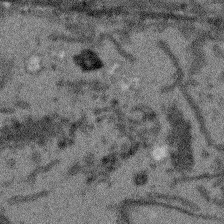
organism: Arabidopsis thaliana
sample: Root tip